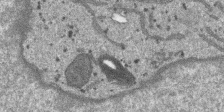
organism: Human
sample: Lung epithelial cells infected with SARS-CoV-2